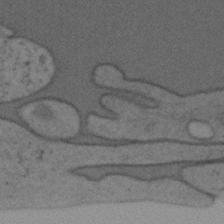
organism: Human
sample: HeLa cells